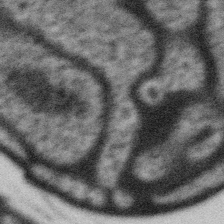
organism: Gemmata obscuriglobus